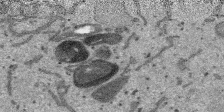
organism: Human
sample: Lung epithelial cells infected with SARS-CoV-2